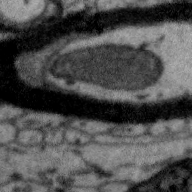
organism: Zebra finch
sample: Brain